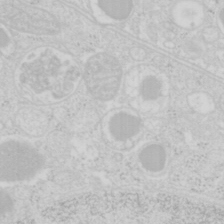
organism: Mouse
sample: Pancreas